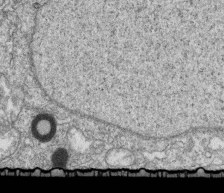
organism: Human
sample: HeLa cell HIV synapse